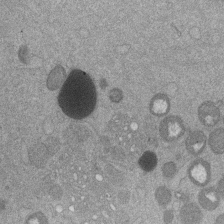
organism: Mouse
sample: Dividing mouse embryo 1 cell stage